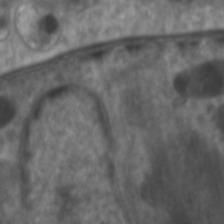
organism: C. elegans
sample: Pharynx